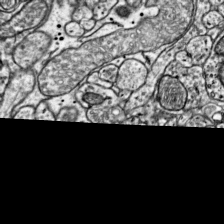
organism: Mouse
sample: Visual Cortex